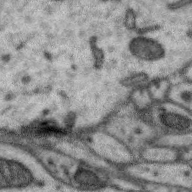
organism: Zebra finch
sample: Brain